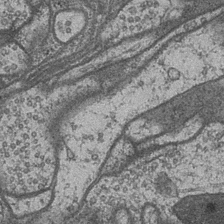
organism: Drosophila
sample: Optic medulla